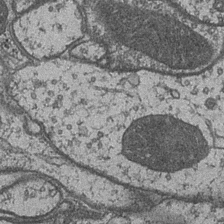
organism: Drosophila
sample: Optic medulla